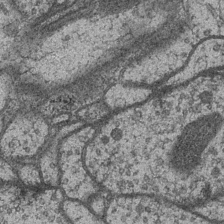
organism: Drosophila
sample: Optic medulla